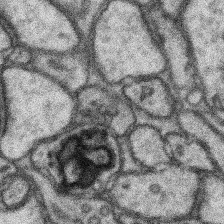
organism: Mouse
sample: Somatosensory cortex neuropil